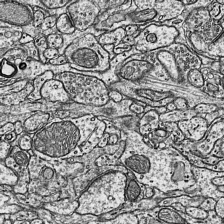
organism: Mouse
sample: Visual Cortex